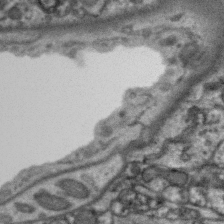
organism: Zebra finch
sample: Brain